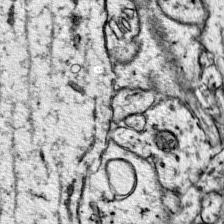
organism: Mouse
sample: Primary visual cortex